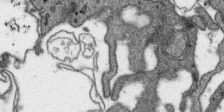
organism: Human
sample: Lung epithelial cells, uninfected (mock) control